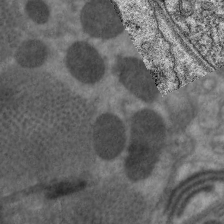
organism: C. elegans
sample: Pharynx